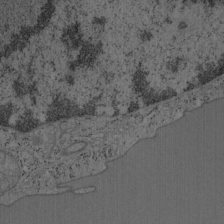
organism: Mouse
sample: OT-I killer T cells with ID8 ovarian cancer cells